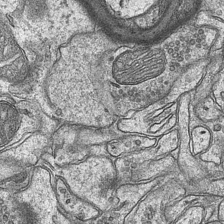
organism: Mouse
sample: CA1 Hippocampus